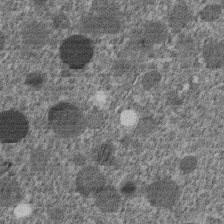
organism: C. elegans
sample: C. elegans embryo early stage